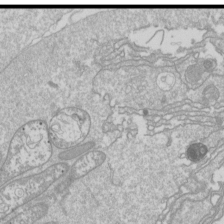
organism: Drosophila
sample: Cell division; meiosis; drosophila spermatocytes